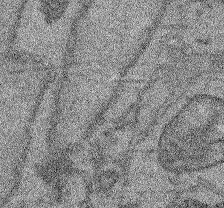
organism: Human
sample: HeLa cells